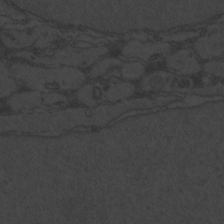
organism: Zebrafish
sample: Macrophage infected with Toxoplasma gondii